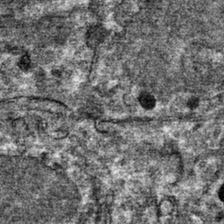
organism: Mouse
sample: Mouse hepatocytes